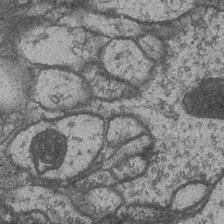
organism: Drosophila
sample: Optic medulla